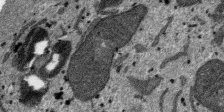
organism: Human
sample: Lung epithelial cells, uninfected (mock) control